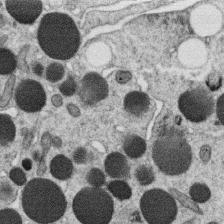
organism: C. elegans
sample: C. elegans oocyte; sperm cells